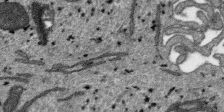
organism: Human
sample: Lung epithelial cells, uninfected (mock) control